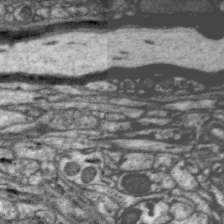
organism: Zebra finch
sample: Brain